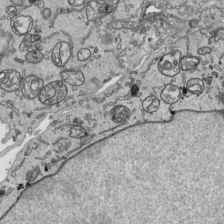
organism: Human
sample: Mitochondria in HCT116 cells